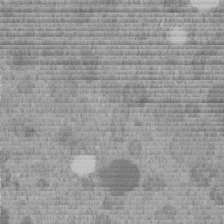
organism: C. elegans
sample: C. elegans embryo early stage